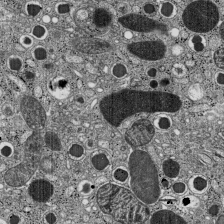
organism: C57BL Mouse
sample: Pancreatic islet